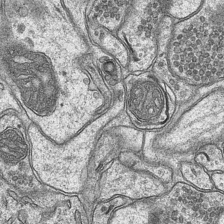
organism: Mouse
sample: CA1 Hippocampus